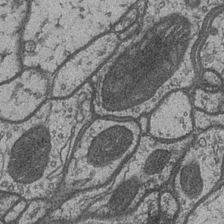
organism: Drosophila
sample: Optic medulla